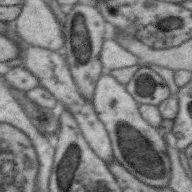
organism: Zebra finch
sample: Brain